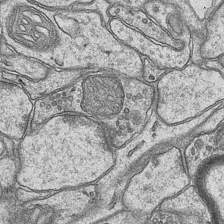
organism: Mouse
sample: CA1 Hippocampus